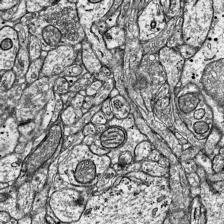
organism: Mouse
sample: Visual Cortex